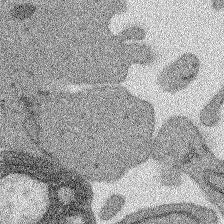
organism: Human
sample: HeLa cells